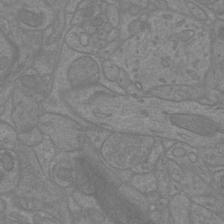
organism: Mouse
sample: Cortical neurons